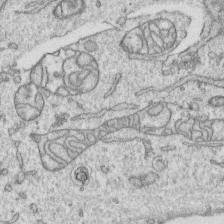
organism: Human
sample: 1205lu cells